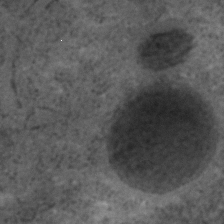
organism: C. elegans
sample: C. elegans embryo